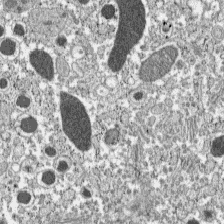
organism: C57BL Mouse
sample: Pancreatic islet